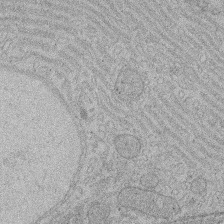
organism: Rat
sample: Salivary granule